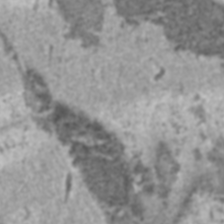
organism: C57BL Mouse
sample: Heart